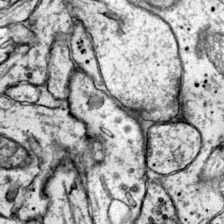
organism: Mouse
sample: Primary visual cortex